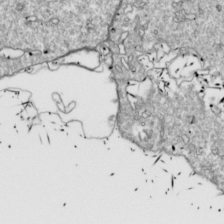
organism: Drosophila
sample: Cell division; meiosis; drosophila spermatocytes